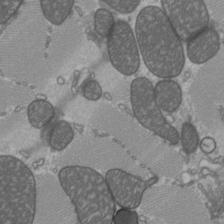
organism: C57BL Mouse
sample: Heart